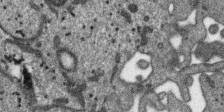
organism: Human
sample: Lung epithelial cells infected with SARS-CoV-2